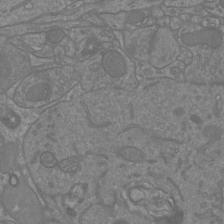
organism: Mouse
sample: Cortical neurons